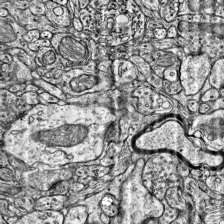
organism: Mouse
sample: Visual Cortex